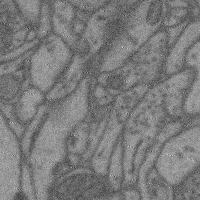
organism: Mouse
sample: Cerebral cortex